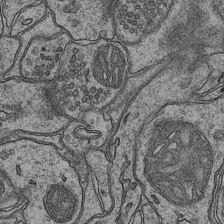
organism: Mouse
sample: CA1 Hippocampus